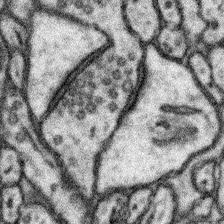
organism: Mouse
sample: Somatosensory cortex neuropil